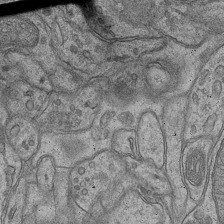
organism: Mouse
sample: CA1 Hippocampus